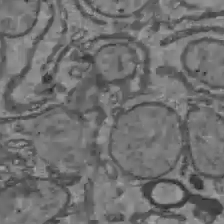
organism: C57BL Mouse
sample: Liver